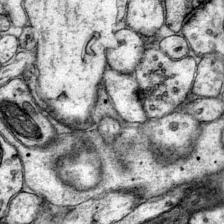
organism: Mouse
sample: Primary visual cortex